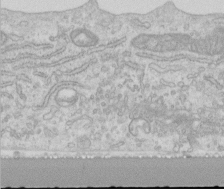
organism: Human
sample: Centriole in RPE cells